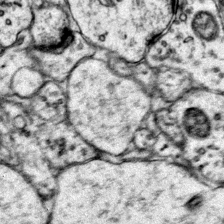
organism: Mouse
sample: Primary visual cortex